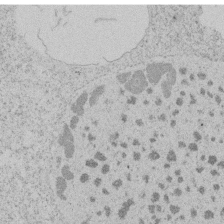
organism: Tetrahymena